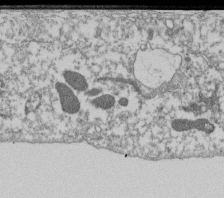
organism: Dictyostelium discoideum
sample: Dictyostelium multivesicular bodies